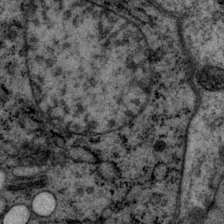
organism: P. pacificus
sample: Pharynx